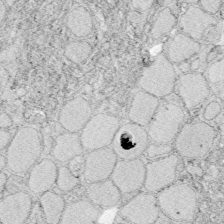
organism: Zebrafish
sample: Whole-Brain